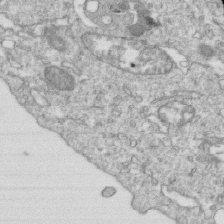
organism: Mouse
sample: Activated OT-1 CD8+ T cells